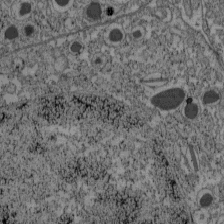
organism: C57BL Mouse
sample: Pancreatic islet